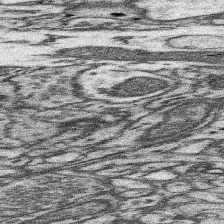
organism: Mouse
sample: Somatosensory cortex neuropil